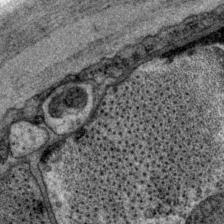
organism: P. pacificus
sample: Pharynx